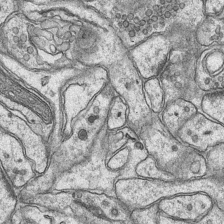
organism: Mouse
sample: CA1 Hippocampus